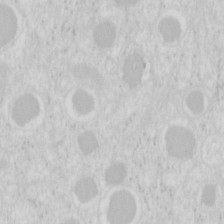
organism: Mouse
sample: Pancreas